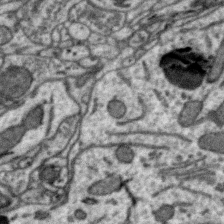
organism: Zebra finch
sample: Brain